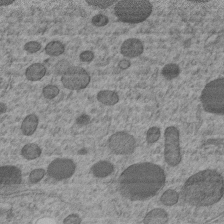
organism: C. elegans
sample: C. elegans embryo early stage